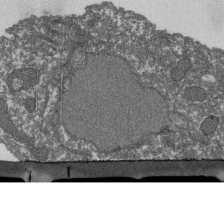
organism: Dictyostelium discoideum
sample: Dictyostelium multivesicular bodies